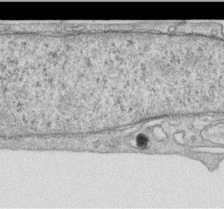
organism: Human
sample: Centriole in RPE cells